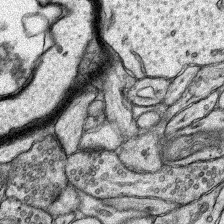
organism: Rat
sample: Hippocampus